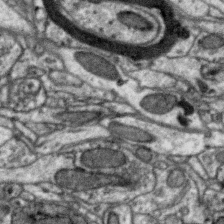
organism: Zebra finch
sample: Brain